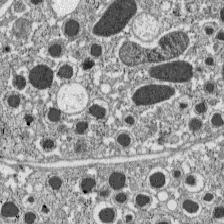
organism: C57BL Mouse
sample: Pancreatic islet